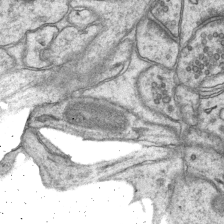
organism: Mouse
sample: CA1 Hippocampus